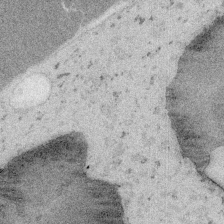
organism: Embia sp.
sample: Silk gland